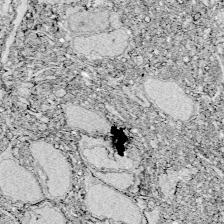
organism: Zebrafish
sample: Whole-Brain